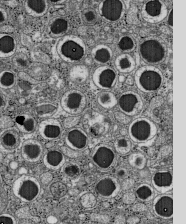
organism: C57BL Mouse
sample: Pancreatic islet